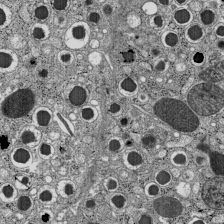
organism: C57BL Mouse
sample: Pancreatic islet